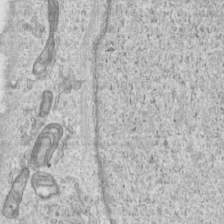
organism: Human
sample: Centriole in RPE cells